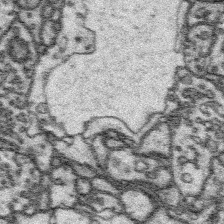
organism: Platynereis dumerilii